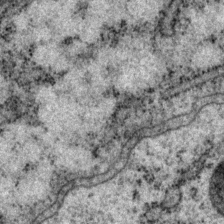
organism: P. pacificus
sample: Pharynx